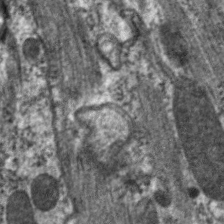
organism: C. elegans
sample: Pharynx